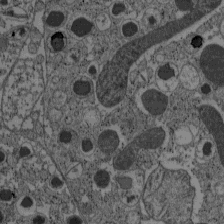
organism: C57BL Mouse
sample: Pancreatic islet